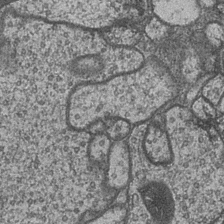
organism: Drosophila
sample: Optic medulla